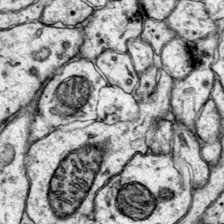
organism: Mouse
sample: Primary visual cortex